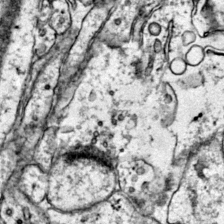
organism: Mouse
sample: Primary visual cortex